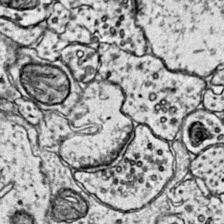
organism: Mouse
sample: Primary visual cortex